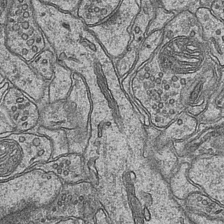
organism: Mouse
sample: CA1 Hippocampus